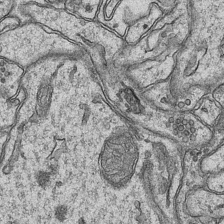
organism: Mouse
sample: CA1 Hippocampus